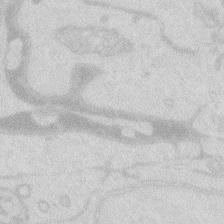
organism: Zebrafish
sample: Macrophage